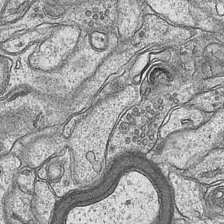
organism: Mouse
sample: CA1 Hippocampus